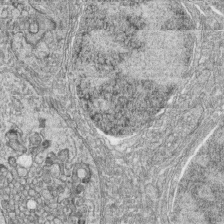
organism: Zebrafish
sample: synaptic ribbons in rod cells and cone cells